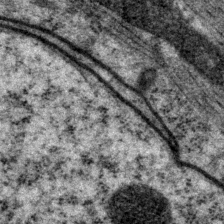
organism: P. pacificus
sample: Pharynx